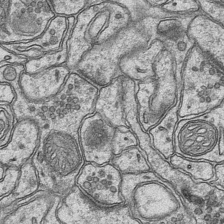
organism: Mouse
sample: CA1 Hippocampus